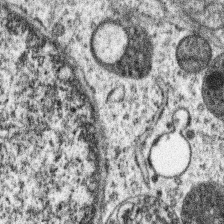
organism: Human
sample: HeLa cells